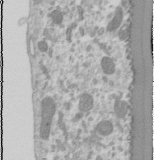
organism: Human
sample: Cilia; basal body in RPE cells